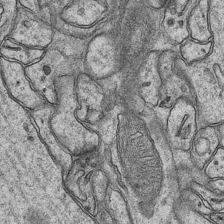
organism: Mouse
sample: CA1 Hippocampus